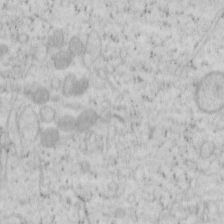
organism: Human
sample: HeLa cells